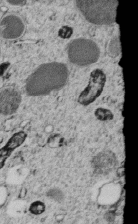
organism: C. elegans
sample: C. elegans embryo early stage